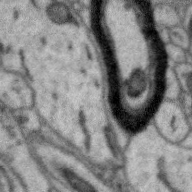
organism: Zebra finch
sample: Brain